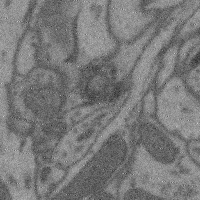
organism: Mouse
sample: Cerebral cortex